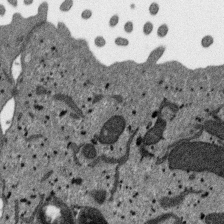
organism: Human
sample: Lung epithelial cells, uninfected (mock) control